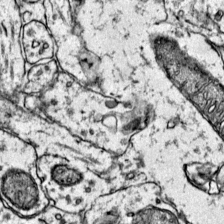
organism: Mouse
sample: Primary visual cortex